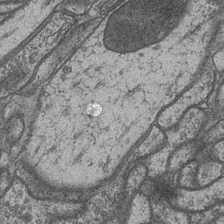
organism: Drosophila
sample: Optic medulla